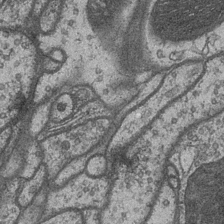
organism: Drosophila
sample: Optic medulla